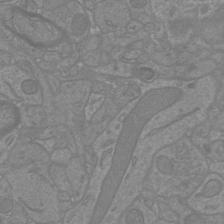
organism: Mouse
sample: Cortical neurons